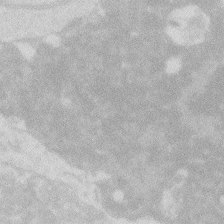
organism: Zebrafish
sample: Macrophage